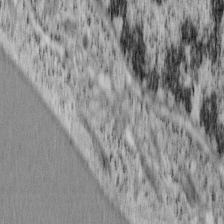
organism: Human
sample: HeLa cells